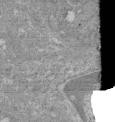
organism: Mouse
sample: Glomerulus